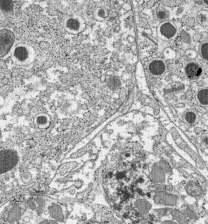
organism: C57BL Mouse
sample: Pancreatic islet